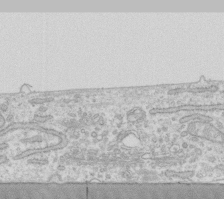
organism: Human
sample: Fibroblast cells